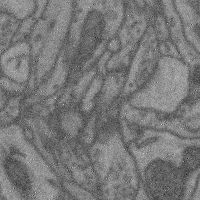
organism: Mouse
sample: Cerebral cortex